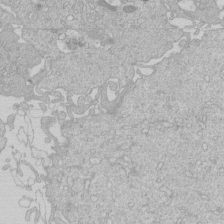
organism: Human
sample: Macrophage cells